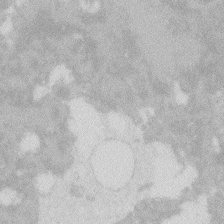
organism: Zebrafish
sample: Macrophage